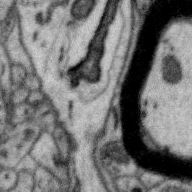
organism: Zebra finch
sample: Brain